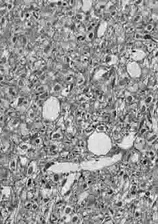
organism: Drosophila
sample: Optic lobe